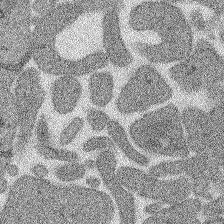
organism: Human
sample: HeLa cells